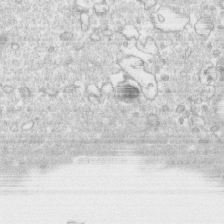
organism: Human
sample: CRL-1474